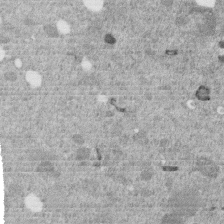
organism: C. elegans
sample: C. elegans embryo early stage